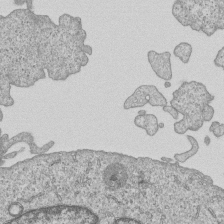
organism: Human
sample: MDA-MB-231 cells